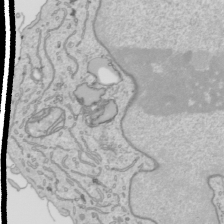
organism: Human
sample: Mitochondria in HCT116 cells